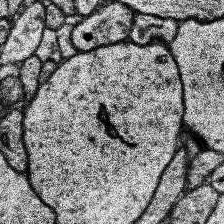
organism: Human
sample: Temporal Lobe